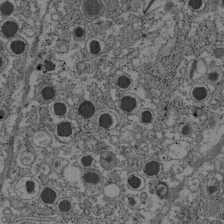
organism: C57BL Mouse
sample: Pancreatic islet